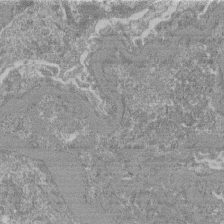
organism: Mouse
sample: Glomerulus